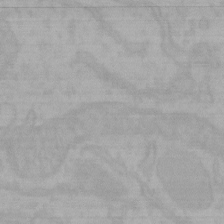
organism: Mouse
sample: Choroid plexus